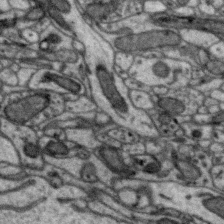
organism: Zebra finch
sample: Brain